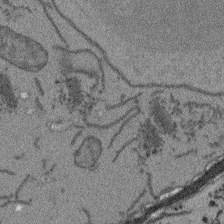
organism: Arabidopsis thaliana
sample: Root tip